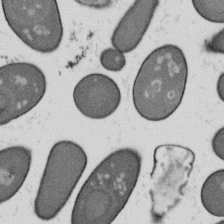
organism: B. subtilis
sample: Bacterial spore